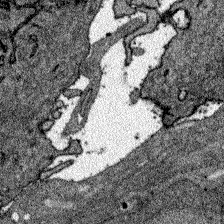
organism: Zebrafish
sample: Larval olfactory bulb